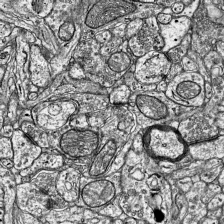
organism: Mouse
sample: Visual Cortex